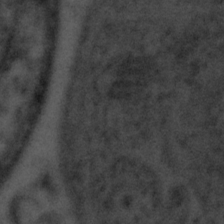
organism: Tuwongella immobilis